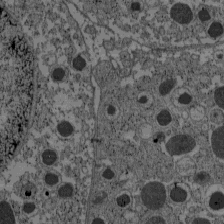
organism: C57BL Mouse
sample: Pancreatic islet